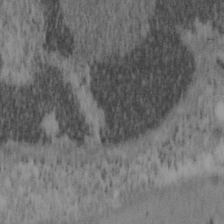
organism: Mouse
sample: OT-I killer T cells with ID8 ovarian cancer cells